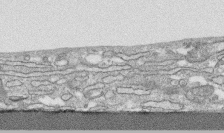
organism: Human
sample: CRL-1474